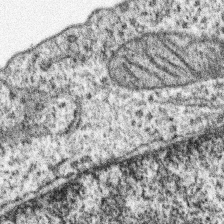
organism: Human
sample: HeLa cells